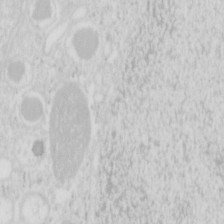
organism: Mouse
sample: Pancreas